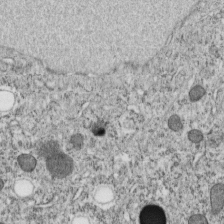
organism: C. elegans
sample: C. elegans embryo early stage